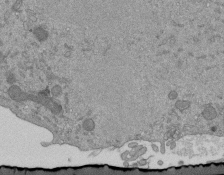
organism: Mouse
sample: ED-1 cell nuclei; centrioles